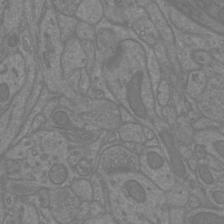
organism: Mouse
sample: Cortical neurons